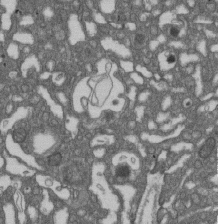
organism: Drosophila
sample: Nephrocyte